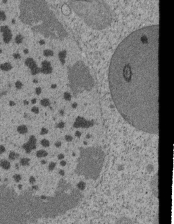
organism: Tetrahymena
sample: Cilia in tetrahymena